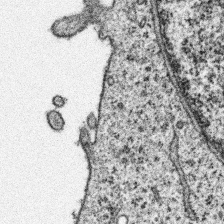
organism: Human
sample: HeLa cells